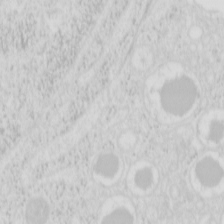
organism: Mouse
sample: Pancreas